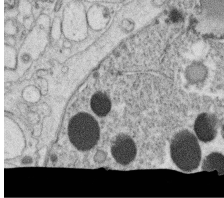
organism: C. elegans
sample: C. elegans oocyte; sperm cells